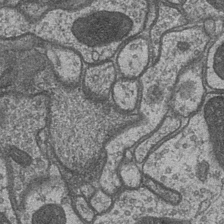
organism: Drosophila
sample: Optic medulla